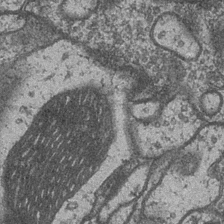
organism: Drosophila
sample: Optic medulla